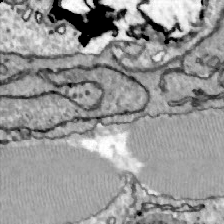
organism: Zebrafish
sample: Actinotrichia fibers